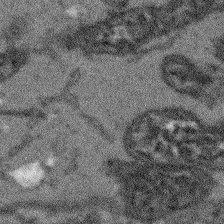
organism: Arabidopsis thaliana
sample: Root tip